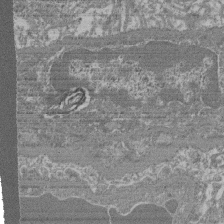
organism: Mouse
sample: Glomerulus